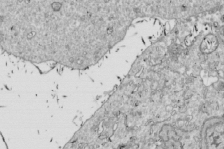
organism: Drosophila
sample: Cell division; meiosis; drosophila spermatocytes